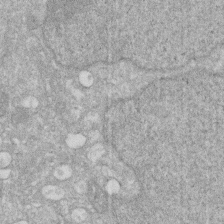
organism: Human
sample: HIV infected U937 cells